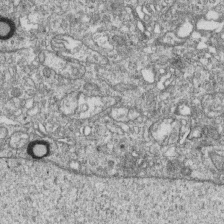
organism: Human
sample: HeLa cell HIV synapse